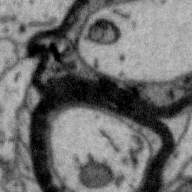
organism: Zebra finch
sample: Brain